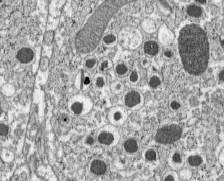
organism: C57BL Mouse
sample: Pancreatic islet